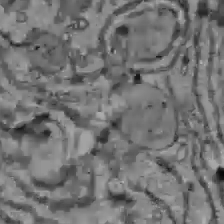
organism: C57BL Mouse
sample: Liver